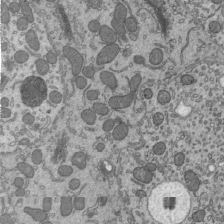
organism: Mouse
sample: Mouse epididymis efferent ductule cilia